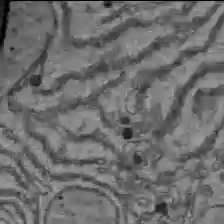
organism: C57BL Mouse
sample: Liver